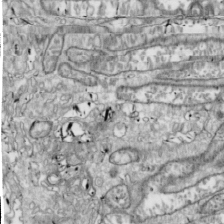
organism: Drosophila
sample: Cell division; meiosis; drosophila spermatocytes